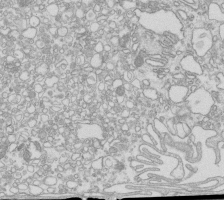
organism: Mouse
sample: Macrophages